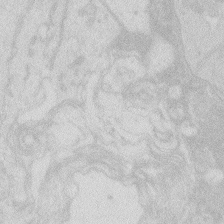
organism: Zebrafish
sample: Macrophage